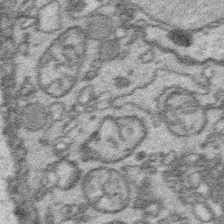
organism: Platynereis dumerilii